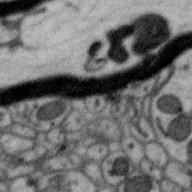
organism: Zebra finch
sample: Brain